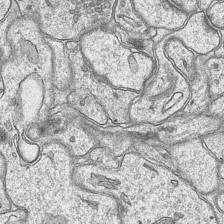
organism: Mouse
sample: CA1 Hippocampus